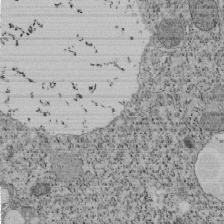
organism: Tetrahymena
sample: Cilia in tetrahymena